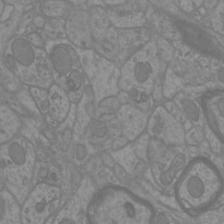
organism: Mouse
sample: Cortical neurons